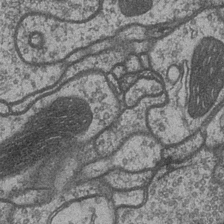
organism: Drosophila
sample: Optic medulla